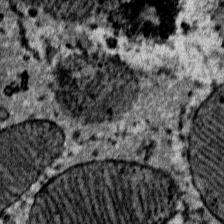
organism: Mouse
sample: Mouse Salivary gland